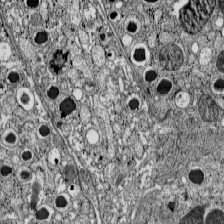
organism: C57BL Mouse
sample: Pancreatic islet